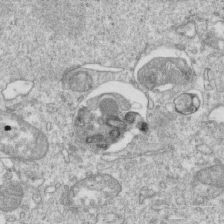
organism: Mouse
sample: Activated OT-1 CD8+ T cells